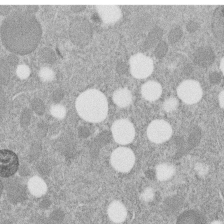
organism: C. elegans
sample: C. elegans embryo early stage